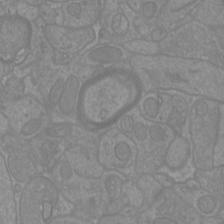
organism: Mouse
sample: Cortical neurons